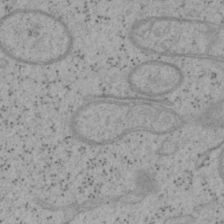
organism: Human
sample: HeLa cells